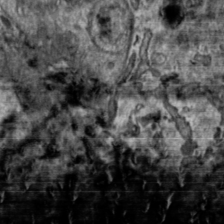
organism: Toxoplasma gondii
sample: Parasites in a vacuole inside a host cell